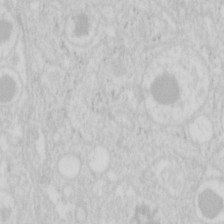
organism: Mouse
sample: Pancreas